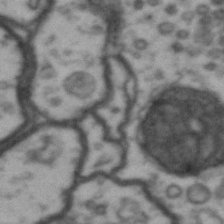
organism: Drosophila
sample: Brain